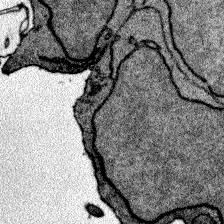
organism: Zebrafish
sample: Larval olfactory bulb